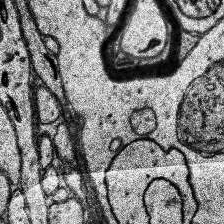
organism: Human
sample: Temporal Lobe